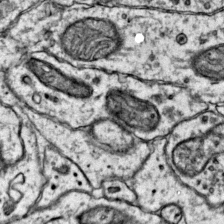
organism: Mouse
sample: Primary visual cortex